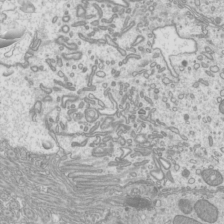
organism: Mouse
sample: Cilia; mouse epididymis